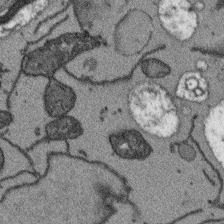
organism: Arabidopsis thaliana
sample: Root tip